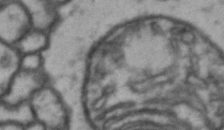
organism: Drosophila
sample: Brain